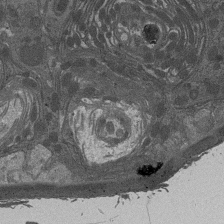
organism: Drosophila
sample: Antenna